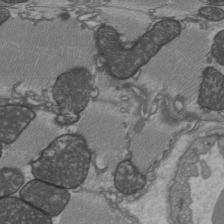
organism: C57BL Mouse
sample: Heart